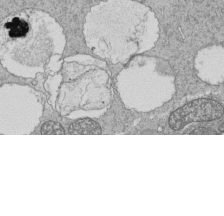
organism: Tetrahymena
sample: Cilia in tetrahymena